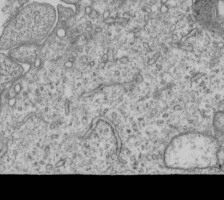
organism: Human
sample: MDA-MB-231 cells